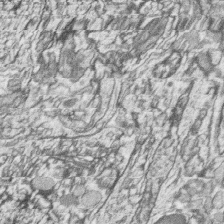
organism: Zebrafish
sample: synaptic ribbons in rod cells and cone cells